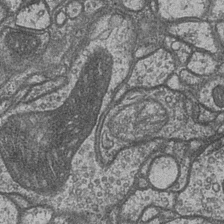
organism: Drosophila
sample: Optic medulla